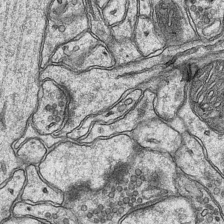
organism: Mouse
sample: CA1 Hippocampus